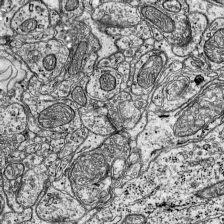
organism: Mouse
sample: Visual Cortex